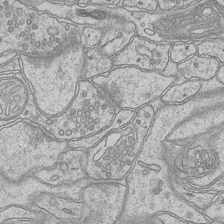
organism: Mouse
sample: CA1 Hippocampus